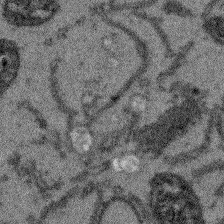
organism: Arabidopsis thaliana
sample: Root tip